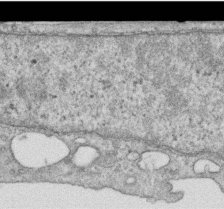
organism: Human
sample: Centriole in RPE cells